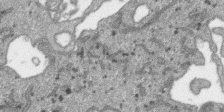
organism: Human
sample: Lung epithelial cells infected with SARS-CoV-2